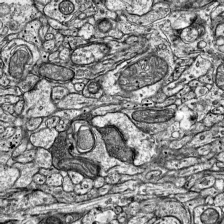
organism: Mouse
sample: Visual Cortex